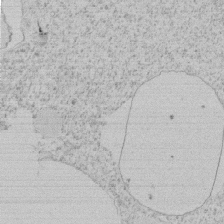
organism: Tetrahymena